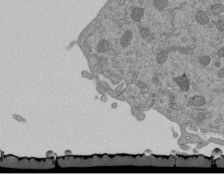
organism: Mouse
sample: ED-1 cell nuclei; centrioles